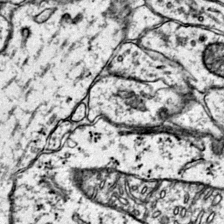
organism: Mouse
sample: Primary visual cortex